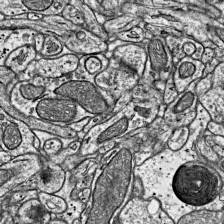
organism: Mouse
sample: Visual Cortex